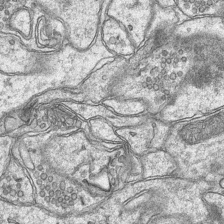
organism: Mouse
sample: CA1 Hippocampus